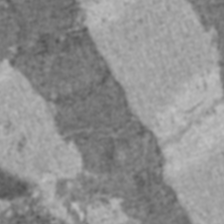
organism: C57BL Mouse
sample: Heart